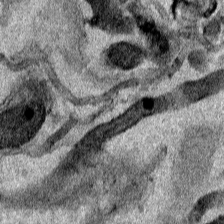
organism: Human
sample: Mitochondria in HCT116 cells